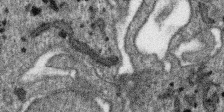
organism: Human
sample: Lung epithelial cells infected with SARS-CoV-2